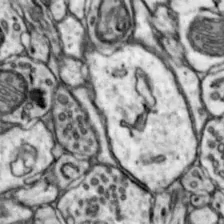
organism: Mouse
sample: Nucleus accumbens